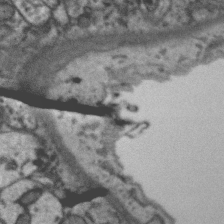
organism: Zebra finch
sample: Brain